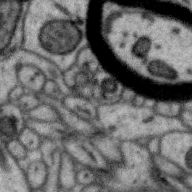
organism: Zebra finch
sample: Brain